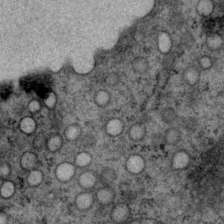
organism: P. pacificus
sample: Pharynx